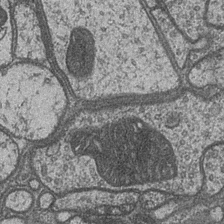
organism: Drosophila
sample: Optic medulla